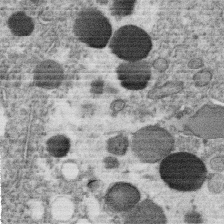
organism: C. elegans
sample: C. elegans oocyte; sperm cells